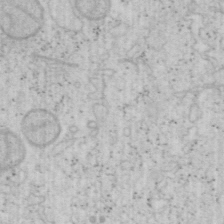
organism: Human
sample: HeLa cells